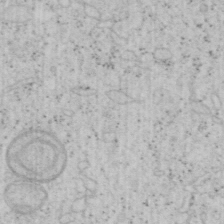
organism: Human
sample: HeLa cells